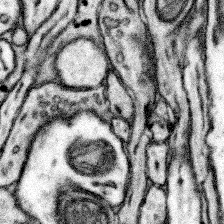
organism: Mouse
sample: Somatosensory cortex neuropil